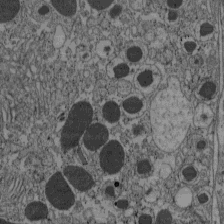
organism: C57BL Mouse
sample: Pancreatic islet